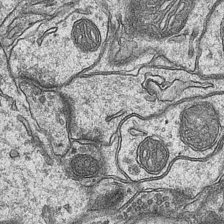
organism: Mouse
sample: CA1 Hippocampus